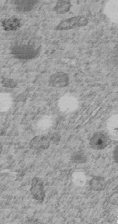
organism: C. elegans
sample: C. elegans embryo early stage